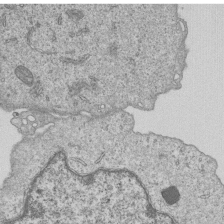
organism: Human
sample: MDA-MB-231 cells